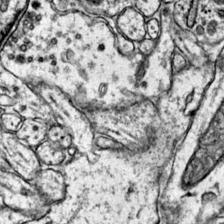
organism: Mouse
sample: Primary visual cortex